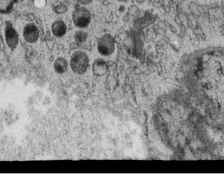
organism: C. elegans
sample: C. elegans oocyte; sperm cells